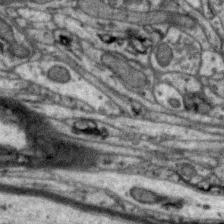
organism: Zebra finch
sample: Brain